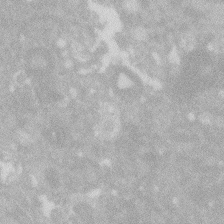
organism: Zebrafish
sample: Macrophage